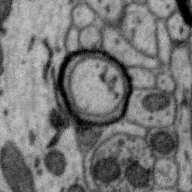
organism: Zebra finch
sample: Brain